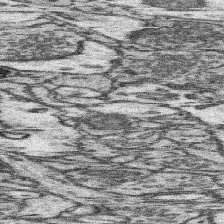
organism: Mouse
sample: Somatosensory cortex neuropil